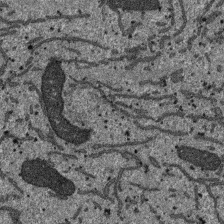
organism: Human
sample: Lung epithelial cells infected with SARS-CoV-2